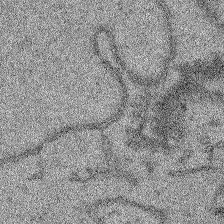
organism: Human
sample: HeLa cells